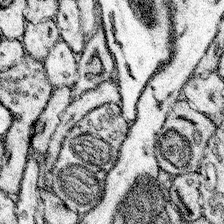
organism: Mouse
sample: Somatosensory cortex neuropil